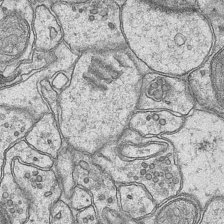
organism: Mouse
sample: CA1 Hippocampus